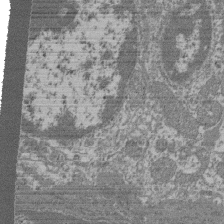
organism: Mouse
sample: Glomerulus